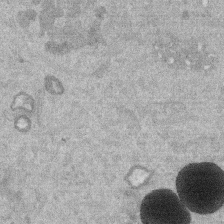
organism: Mouse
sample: Dividing mouse embryo 1 cell stage